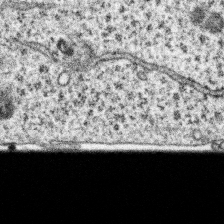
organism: Human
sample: HeLa cells